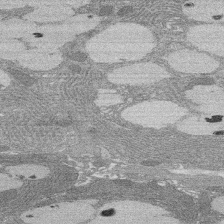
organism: Rat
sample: Salivary granule